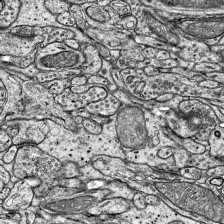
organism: Mouse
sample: Visual Cortex